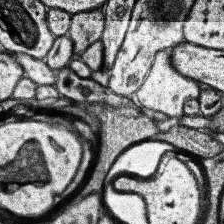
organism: Human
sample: Temporal Lobe